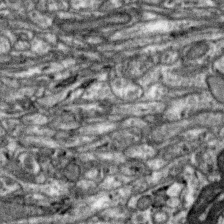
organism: Zebra finch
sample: Brain